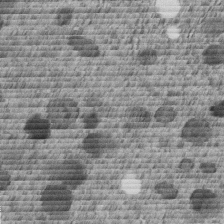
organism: C. elegans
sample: C. elegans embryo early stage